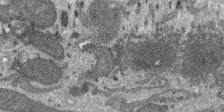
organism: Human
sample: Lung epithelial cells infected with SARS-CoV-2